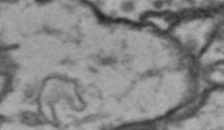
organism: Drosophila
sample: Brain